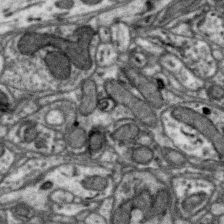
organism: Zebra finch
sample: Brain